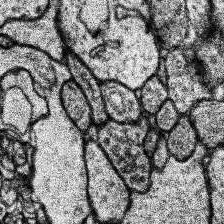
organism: Human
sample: Temporal Lobe